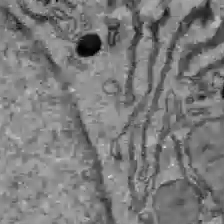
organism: C57BL Mouse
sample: Liver